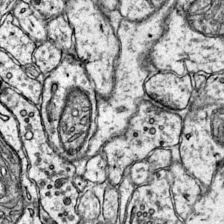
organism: Mouse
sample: Primary visual cortex